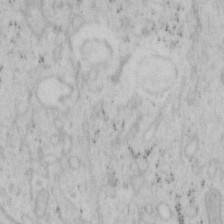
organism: Human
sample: HeLa cells